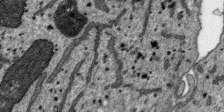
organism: Human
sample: Lung epithelial cells, uninfected (mock) control